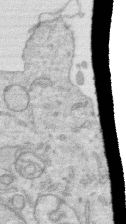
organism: Human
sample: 1205lu cells